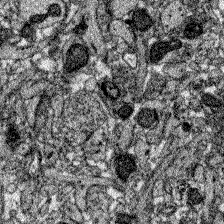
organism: Zebrafish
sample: Larval olfactory bulb